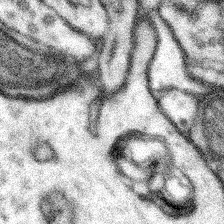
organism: Mouse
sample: Somatosensory cortex neuropil